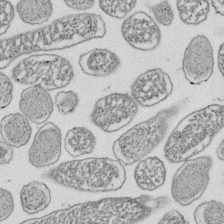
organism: E. coli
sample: Bacterial nucleoid